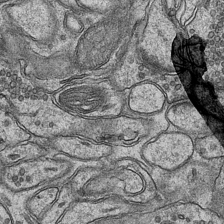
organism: Mouse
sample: CA1 Hippocampus